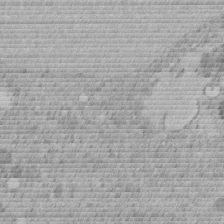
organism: C. elegans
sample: C. elegans embryo early stage